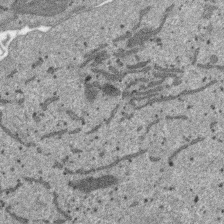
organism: Human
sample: Lung epithelial cells infected with SARS-CoV-2